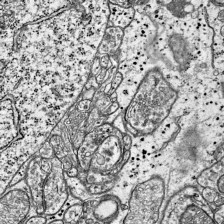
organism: Mouse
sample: Visual Cortex